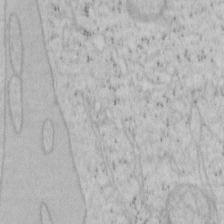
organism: Human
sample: HeLa cells